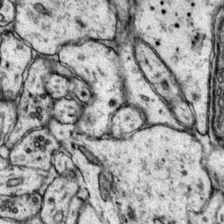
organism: Mouse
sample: Primary visual cortex